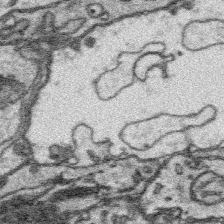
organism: Platynereis dumerilii